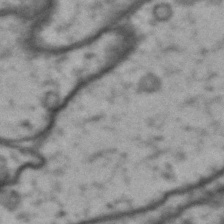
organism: Drosophila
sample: Brain